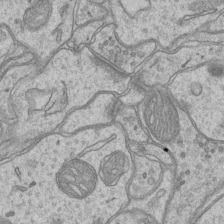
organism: Mouse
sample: CA1 Hippocampus